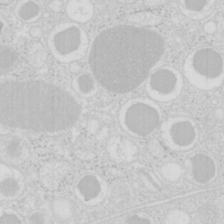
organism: Mouse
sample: Pancreas